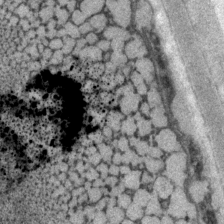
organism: P. pacificus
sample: Pharynx